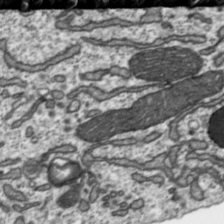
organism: Toxoplasma gondii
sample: Parasites in a vacuole inside a host cell